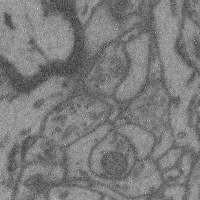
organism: Mouse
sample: Cerebral cortex